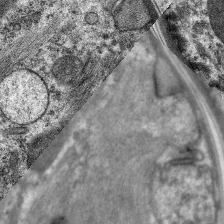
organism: C. elegans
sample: Pharynx